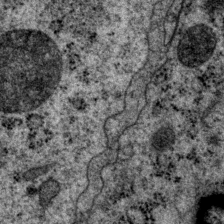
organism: P. pacificus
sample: Pharynx